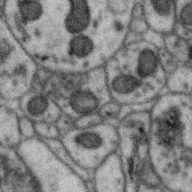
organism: Zebra finch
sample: Brain